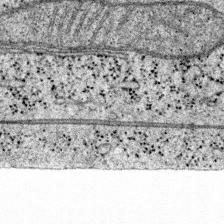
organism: Human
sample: HeLa cells